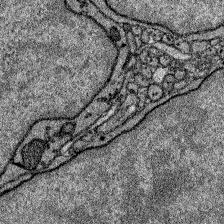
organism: Zebrafish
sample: Larval olfactory bulb